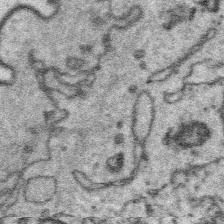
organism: Platynereis dumerilii